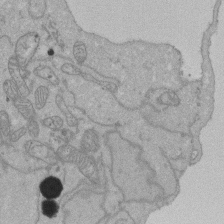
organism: Human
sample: Activated Jurkat CD4+ T cells